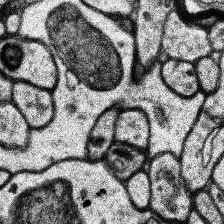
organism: Human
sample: Temporal Lobe